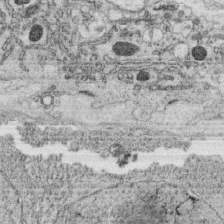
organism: C. elegans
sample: C. elegans oocyte; sperm cells